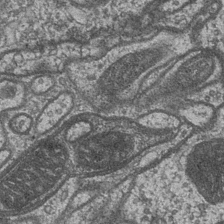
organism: Drosophila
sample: Optic medulla